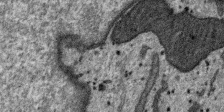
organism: Human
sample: Lung epithelial cells, uninfected (mock) control